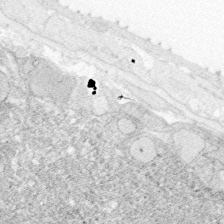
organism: Zebrafish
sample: Whole-Brain